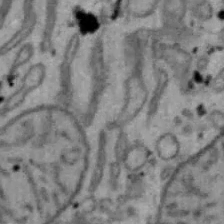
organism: Mouse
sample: Liver